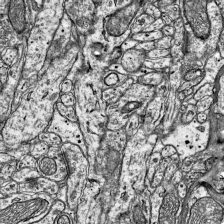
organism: Mouse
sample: Visual Cortex